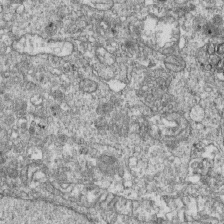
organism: Human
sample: HeLa cell HIV synapse